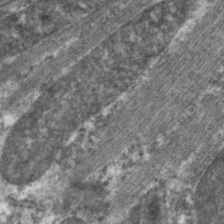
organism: C. elegans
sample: Pharynx